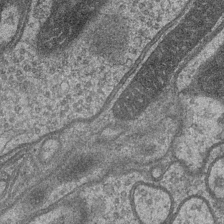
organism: Drosophila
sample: Optic medulla